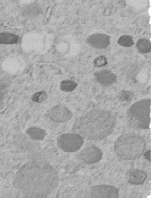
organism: C. elegans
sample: C. elegans embryo early stage